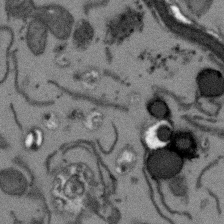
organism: Arabidopsis thaliana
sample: Root tip